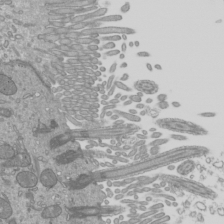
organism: Mouse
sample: Cilia; mouse epididymis